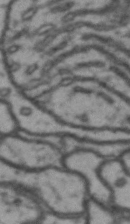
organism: Drosophila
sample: Brain